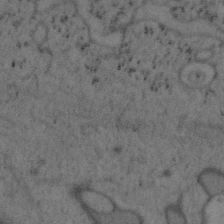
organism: Human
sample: HeLa cells